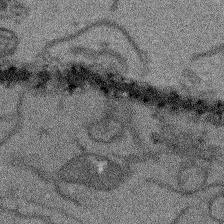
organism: Arabidopsis thaliana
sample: Root tip